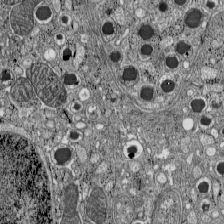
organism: C57BL Mouse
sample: Pancreatic islet